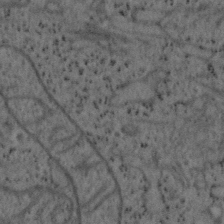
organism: Human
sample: HeLa cells